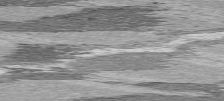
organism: C57BL Mouse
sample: Heart